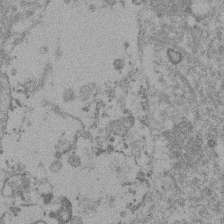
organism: Mouse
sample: Dividing mouse embryo 1 cell stage